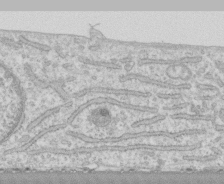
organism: Human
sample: CRL-1474